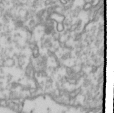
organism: Drosophila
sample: Cell division; meiosis; drosophila spermatocytes